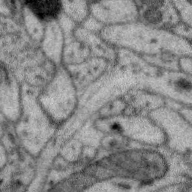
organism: Zebra finch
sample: Brain